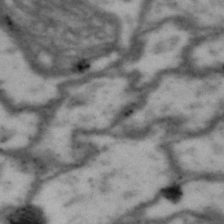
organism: Drosophila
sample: Brain